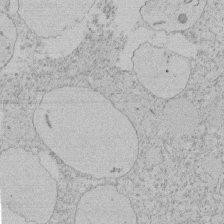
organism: Tetrahymena